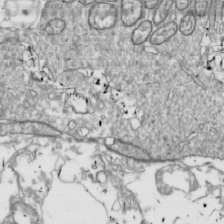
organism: Drosophila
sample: Cell division; meiosis; drosophila spermatocytes